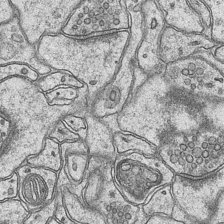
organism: Mouse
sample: CA1 Hippocampus